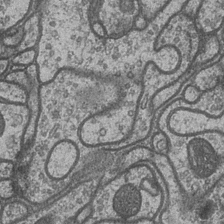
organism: Drosophila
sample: Optic medulla